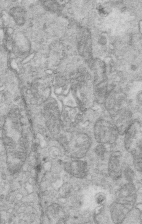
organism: Mouse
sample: Multiciliated cells